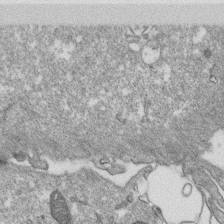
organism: African green monkey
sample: Vero E6 cells infected with SARS-CoV-2